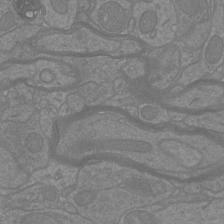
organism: Mouse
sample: Cortical neurons